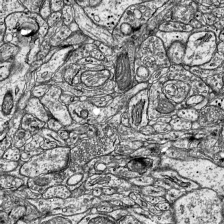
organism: Mouse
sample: Visual Cortex